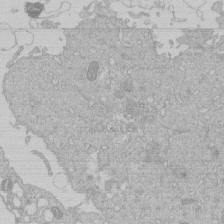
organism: Human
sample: Macrophage cells